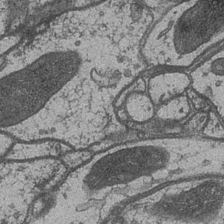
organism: Drosophila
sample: Optic medulla